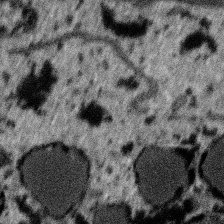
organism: Human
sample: Lung epithelial cells infected with SARS-CoV-2